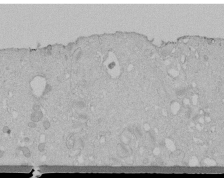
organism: Human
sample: Melanocyte Keratinocyte synapse skin construct